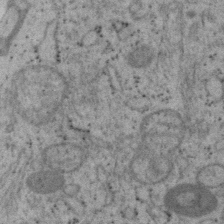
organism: Human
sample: HeLa cells